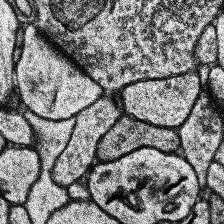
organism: Human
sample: Temporal Lobe